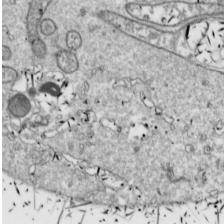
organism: Drosophila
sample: Cell division; meiosis; drosophila spermatocytes